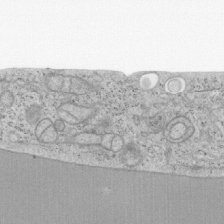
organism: Human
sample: HeLa cells